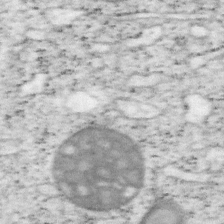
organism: Mouse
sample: OT-I killer T cells with ID8 ovarian cancer cells